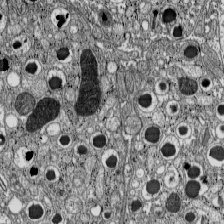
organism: C57BL Mouse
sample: Pancreatic islet